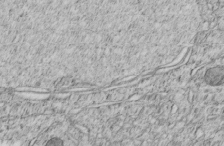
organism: C. elegans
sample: C. elegans embryo early stage